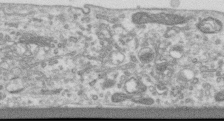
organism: Human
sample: Centriole in RPE cells